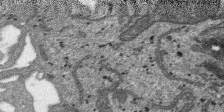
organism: Human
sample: Lung epithelial cells infected with SARS-CoV-2